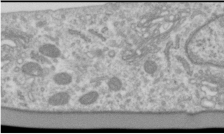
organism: Human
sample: Cilia; basal body in RPE cells